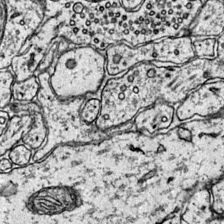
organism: Mouse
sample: Primary visual cortex